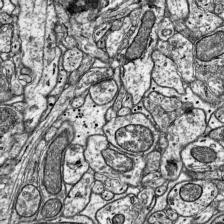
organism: Mouse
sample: Visual Cortex